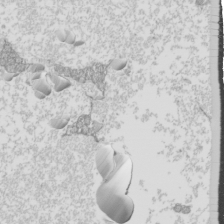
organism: Mouse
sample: Cilia; mouse epididymis